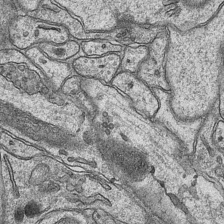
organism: Mouse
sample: CA1 Hippocampus